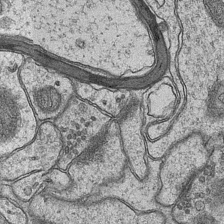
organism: Mouse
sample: CA1 Hippocampus